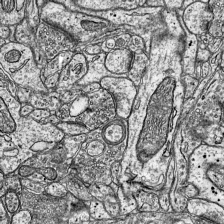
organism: Mouse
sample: Visual Cortex